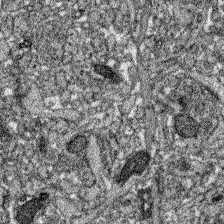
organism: Zebrafish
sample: Larval olfactory bulb